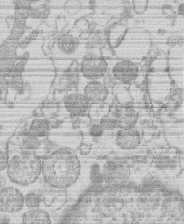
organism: Human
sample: Macrophage cells